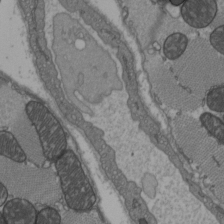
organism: C57BL Mouse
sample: Heart